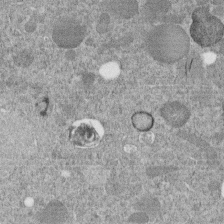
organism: C. elegans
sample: C. elegans embryo early stage